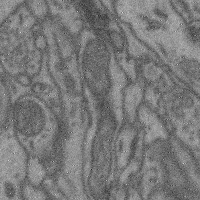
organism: Mouse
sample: Cerebral cortex